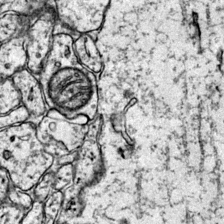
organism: Mouse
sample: Primary visual cortex